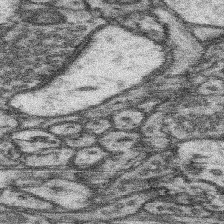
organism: Mouse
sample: Somatosensory cortex neuropil